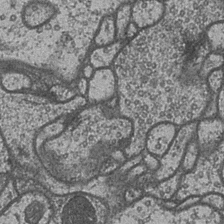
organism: Drosophila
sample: Optic medulla